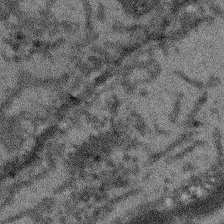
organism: Arabidopsis thaliana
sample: Root tip